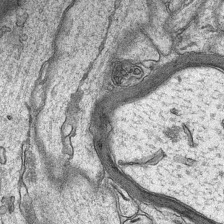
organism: Mouse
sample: CA1 Hippocampus